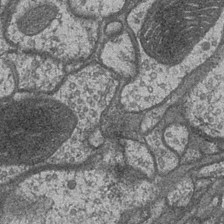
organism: Drosophila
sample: Optic medulla